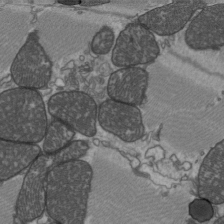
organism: C57BL Mouse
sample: Heart